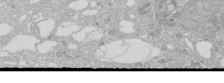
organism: Human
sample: Caco-2 cells